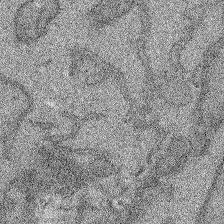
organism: Human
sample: HeLa cells